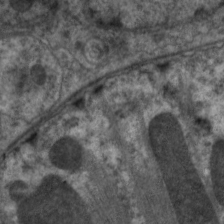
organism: C. elegans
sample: Pharynx